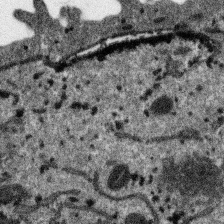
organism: Human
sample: Lung epithelial cells infected with SARS-CoV-2